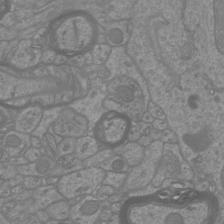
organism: Mouse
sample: Cortical neurons